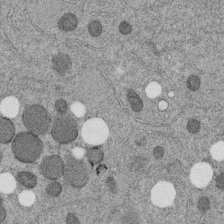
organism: C. elegans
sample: C. elegans embryo early stage